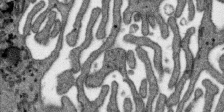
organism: Human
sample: Lung epithelial cells, uninfected (mock) control